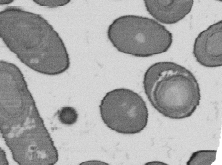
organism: B. subtilis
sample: Bacterial spore